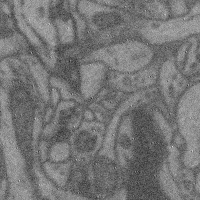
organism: Mouse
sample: Cerebral cortex